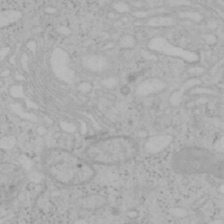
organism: Mouse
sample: OT-I killer T cells with ID8 ovarian cancer cells